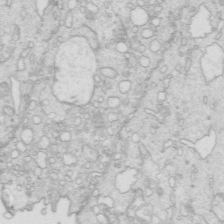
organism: Mouse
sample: Multiciliated cells